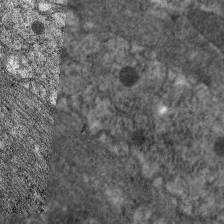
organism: C. elegans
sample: Pharynx